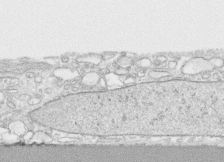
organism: Human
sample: CRL-1474